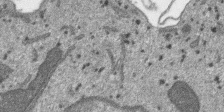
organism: Human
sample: Lung epithelial cells infected with SARS-CoV-2